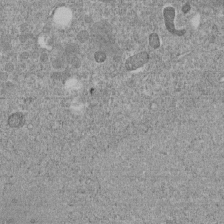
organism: C. elegans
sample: C. elegans embryo early stage